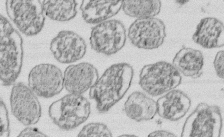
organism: E. coli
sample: Bacterial nucleoid